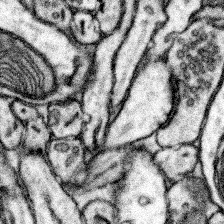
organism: Mouse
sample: Somatosensory cortex neuropil